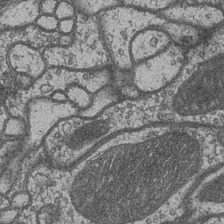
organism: Drosophila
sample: Optic medulla